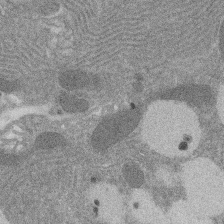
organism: Rat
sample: Salivary granule